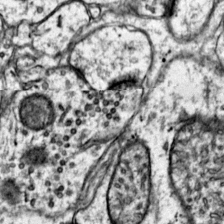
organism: Mouse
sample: Primary visual cortex